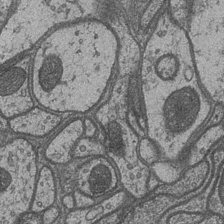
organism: Drosophila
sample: Optic medulla